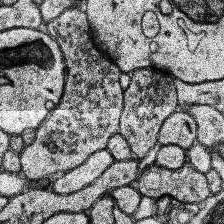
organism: Human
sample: Temporal Lobe